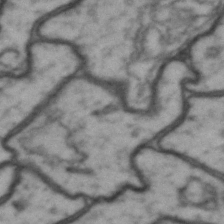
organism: Drosophila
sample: Brain